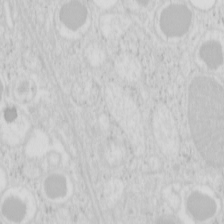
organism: Mouse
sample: Pancreas